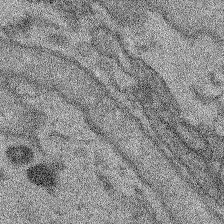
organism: Human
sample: HeLa cells